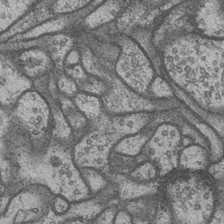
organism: Drosophila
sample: Optic medulla